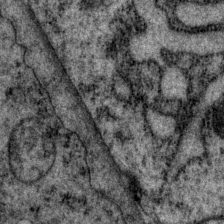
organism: P. pacificus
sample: Pharynx